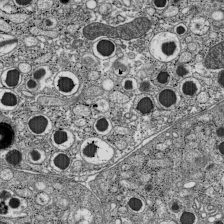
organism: C57BL Mouse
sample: Pancreatic islet